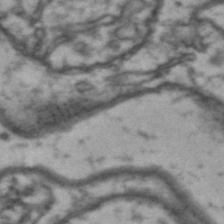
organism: Drosophila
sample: Brain